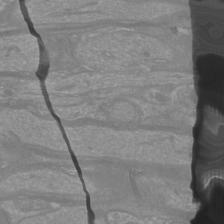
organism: Mouse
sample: Cortical neurons